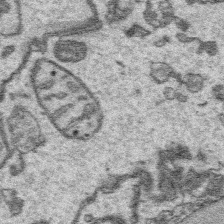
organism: Platynereis dumerilii